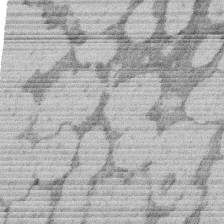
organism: Rat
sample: Salivary granule